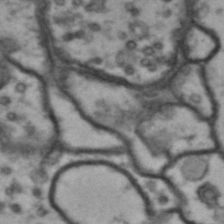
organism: Drosophila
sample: Brain